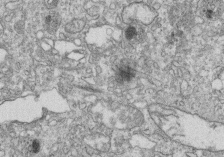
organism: Human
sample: HeLa cell HIV synapse